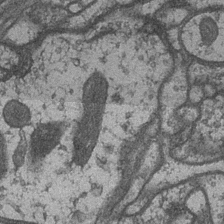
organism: Drosophila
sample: Optic medulla